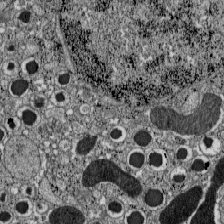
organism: C57BL Mouse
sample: Pancreatic islet